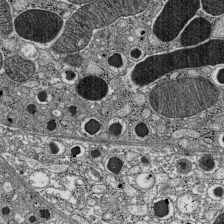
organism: C57BL Mouse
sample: Pancreatic islet